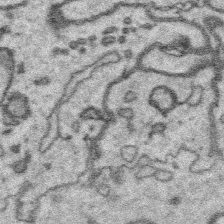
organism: Platynereis dumerilii